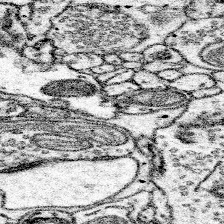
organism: Mouse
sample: Somatosensory cortex neuropil